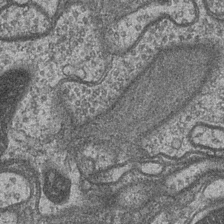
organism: Drosophila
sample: Optic medulla